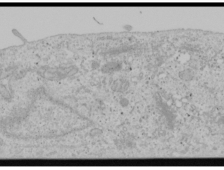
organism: Human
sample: Mitochondria in U2OS cells